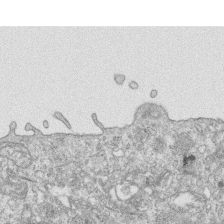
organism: Human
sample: HeLa cell HIV synapse